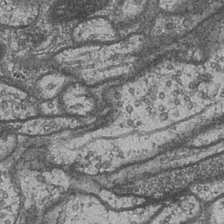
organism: Drosophila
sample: Optic medulla